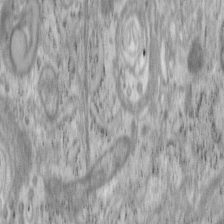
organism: Human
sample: HeLa cells